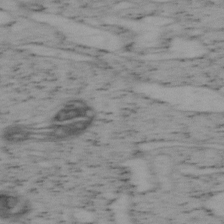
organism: Mouse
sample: OT-I killer T cells with ID8 ovarian cancer cells